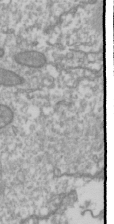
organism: Drosophila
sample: Cell division; meiosis; drosophila spermatocytes